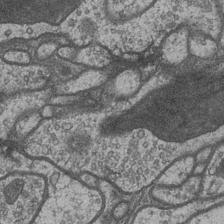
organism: Drosophila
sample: Optic medulla